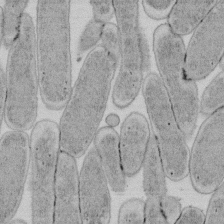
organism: E. coli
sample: Bacterial nucleoid